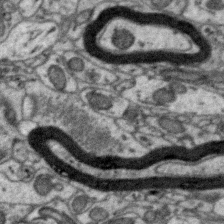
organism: Zebra finch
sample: Brain